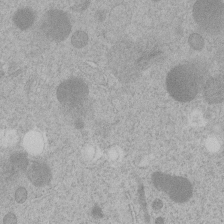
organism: C. elegans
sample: C. elegans embryo early stage